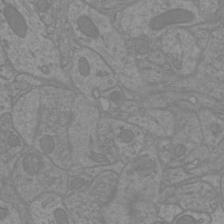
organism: Mouse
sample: Cortical neurons